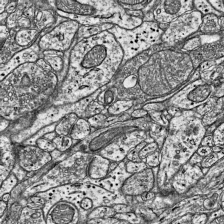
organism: Mouse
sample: Visual Cortex